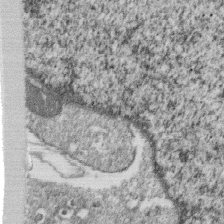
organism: African green monkey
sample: Vero E6 cells infected with SARS-CoV-2